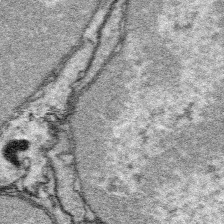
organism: Platynereis dumerilii